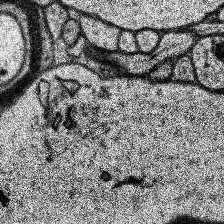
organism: Human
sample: Temporal Lobe